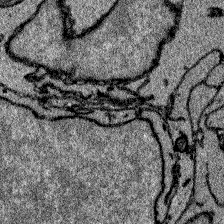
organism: Zebrafish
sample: Larval olfactory bulb